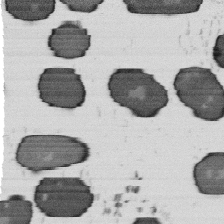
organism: B. subtilis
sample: Bacterial spore